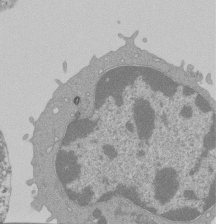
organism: Mouse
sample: Activated Pmel transgenic CD8+ T Cells